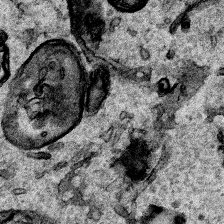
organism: Human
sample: Mitochondria in HCT116 cells